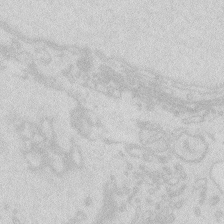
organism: Zebrafish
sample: Macrophage